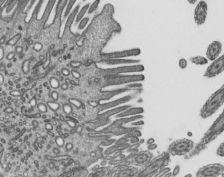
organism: Mouse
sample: Mouse epididymis efferent ductule cilia